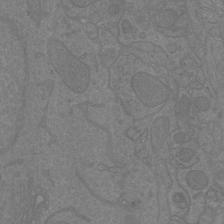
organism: Mouse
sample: Cortical neurons